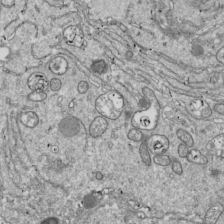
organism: Drosophila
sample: Cell division; meiosis; drosophila spermatocytes